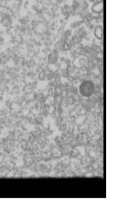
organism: Drosophila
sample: Cell division; meiosis; drosophila spermatocytes